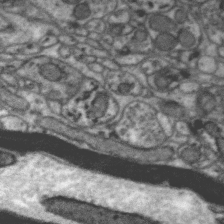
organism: Zebra finch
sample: Brain